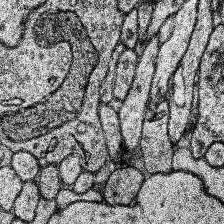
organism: Human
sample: Temporal Lobe